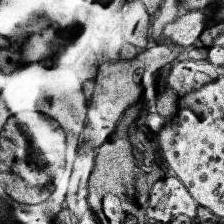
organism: Human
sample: Temporal Lobe